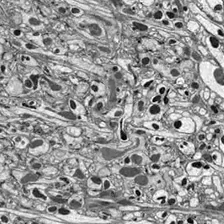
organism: Drosophila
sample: Optic lobe